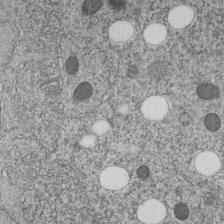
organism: C. elegans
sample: C. elegans embryo early stage